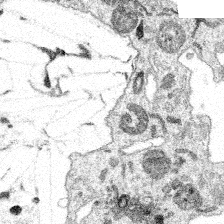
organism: Spongilla lacustris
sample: Multiple